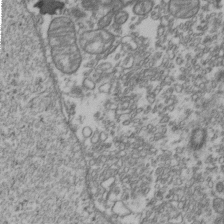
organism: Human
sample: Activated Jurkat CD4+ T cells